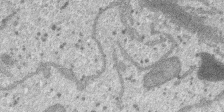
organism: Human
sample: Lung epithelial cells infected with SARS-CoV-2